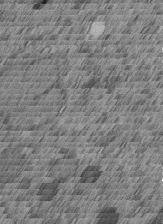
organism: C. elegans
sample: C. elegans embryo early stage